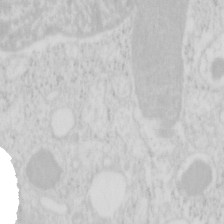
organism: Mouse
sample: Pancreas